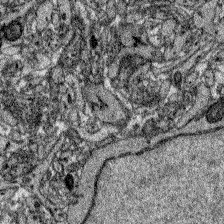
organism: Zebrafish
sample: Larval olfactory bulb